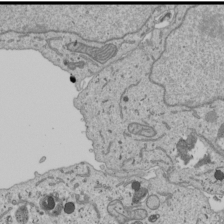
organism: Human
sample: Mitochondria in U2OS cells